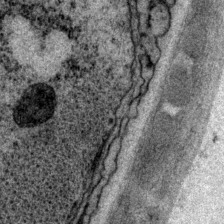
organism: P. pacificus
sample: Pharynx